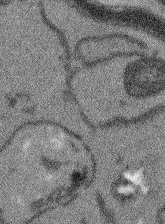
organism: Arabidopsis thaliana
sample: Root tip